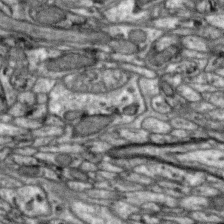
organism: Zebra finch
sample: Brain